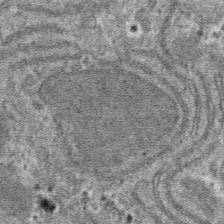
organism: Mouse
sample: Mouse hepatocytes